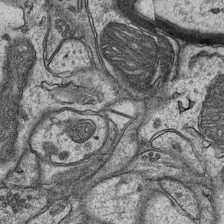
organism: Mouse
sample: CA1 Hippocampus